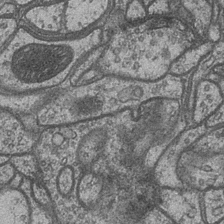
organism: Drosophila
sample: Optic medulla